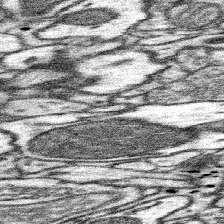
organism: Mouse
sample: Somatosensory cortex neuropil